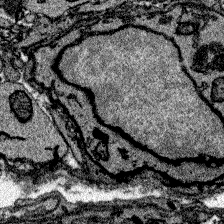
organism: Zebrafish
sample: Larval olfactory bulb